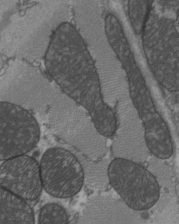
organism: C57BL Mouse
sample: Heart